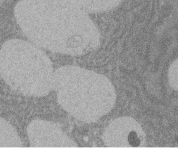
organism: Rat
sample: Salivary granule